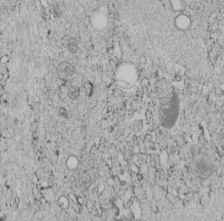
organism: C. elegans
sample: C. elegans embryo early stage